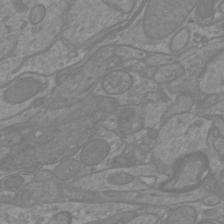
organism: Mouse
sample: Cortical neurons